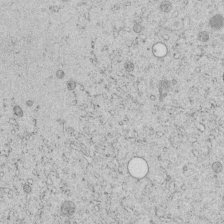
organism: C. elegans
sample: C. elegans embryo early stage